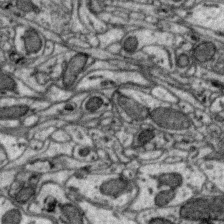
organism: Zebra finch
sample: Brain